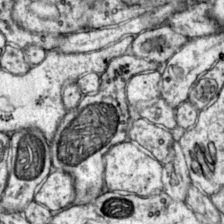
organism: Mouse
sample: Primary visual cortex